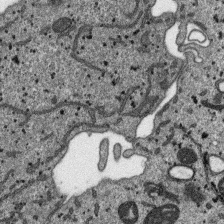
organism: Human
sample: Lung epithelial cells infected with SARS-CoV-2